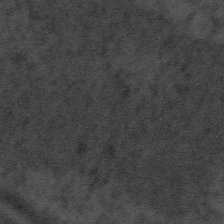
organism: Tuwongella immobilis